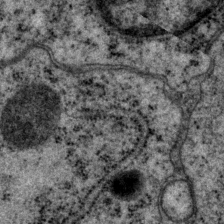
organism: P. pacificus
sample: Pharynx